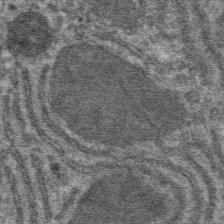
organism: Mouse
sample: Mouse hepatocytes